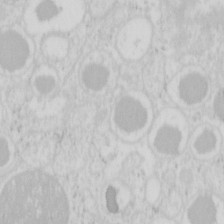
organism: Mouse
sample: Pancreas